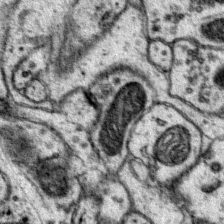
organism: Mouse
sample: Primary visual cortex